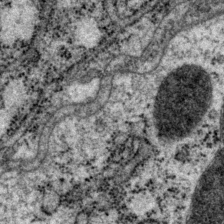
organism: P. pacificus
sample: Pharynx